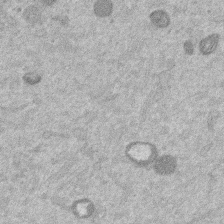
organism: Mouse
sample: Dividing mouse embryo 1 cell stage